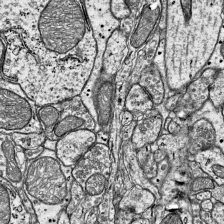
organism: Mouse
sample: Visual Cortex